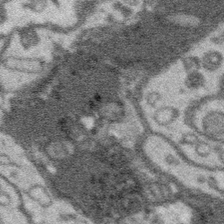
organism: Platynereis dumerilii